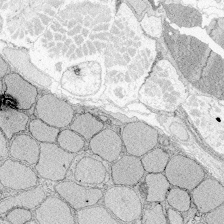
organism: Zebrafish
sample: Whole-Brain